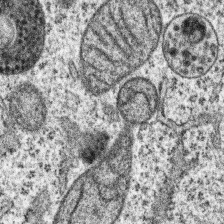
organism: Human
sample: HeLa cells